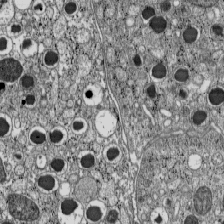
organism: C57BL Mouse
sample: Pancreatic islet